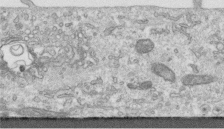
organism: Human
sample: Centriole in RPE cells